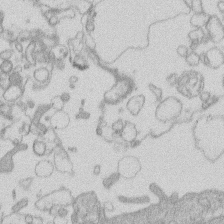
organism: Human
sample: Macrophage cells